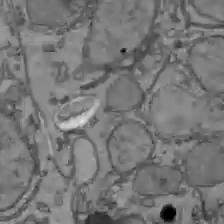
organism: C57BL Mouse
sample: Liver